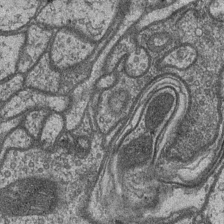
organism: Drosophila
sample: Optic medulla